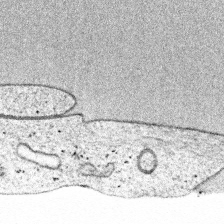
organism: Human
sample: HeLa cells